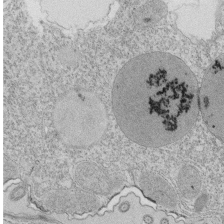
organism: Tetrahymena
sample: Cilia in tetrahymena